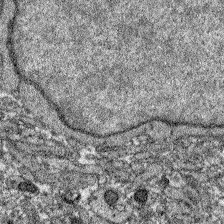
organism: Zebrafish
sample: Larval olfactory bulb